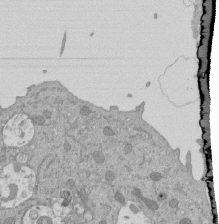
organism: Mouse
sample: ED-1 cell nuclei; centrioles